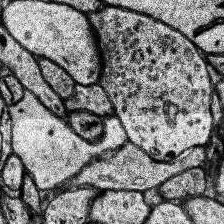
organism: Human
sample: Temporal Lobe